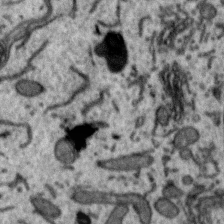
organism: Zebra finch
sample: Brain